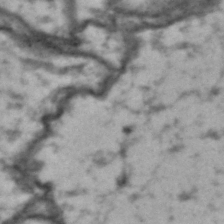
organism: Drosophila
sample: Brain